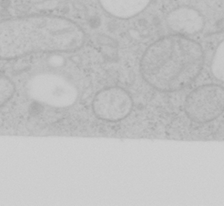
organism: Mouse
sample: OT-I killer T cells with ID8 ovarian cancer cells